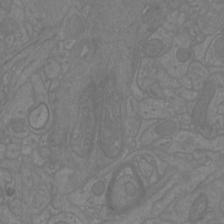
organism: Mouse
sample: Cortical neurons